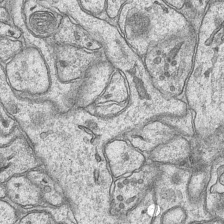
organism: Mouse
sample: CA1 Hippocampus